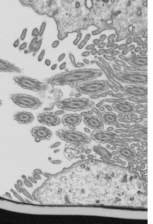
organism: Mouse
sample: Mouse epididymis efferent ductule cilia